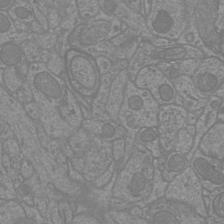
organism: Mouse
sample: Cortical neurons